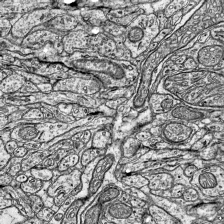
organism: Mouse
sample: Visual Cortex